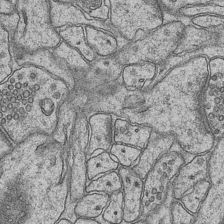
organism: Mouse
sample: CA1 Hippocampus